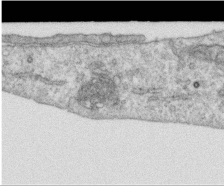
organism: Human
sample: Centriole in RPE cells